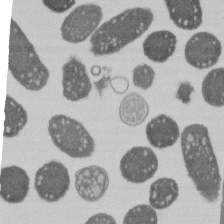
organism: E. coli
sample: Bacterial nucleoid